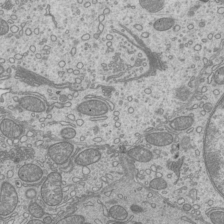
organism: Mouse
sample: Cilia; mouse epididymis